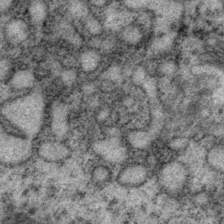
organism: P. pacificus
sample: Pharynx